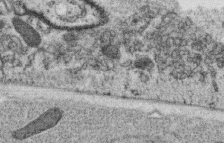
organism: C. elegans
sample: C. elegans oocyte; sperm cells